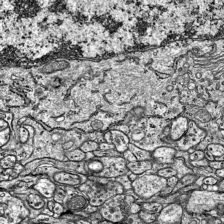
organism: Mouse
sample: Visual Cortex